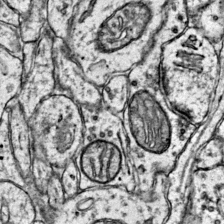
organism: Mouse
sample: Primary visual cortex